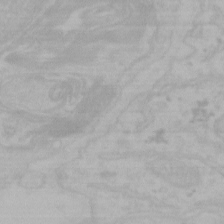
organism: Mouse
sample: Choroid plexus